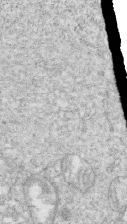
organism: Human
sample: HeLa cell HIV synapse